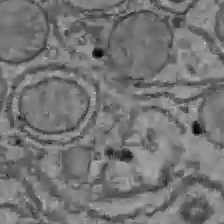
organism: C57BL Mouse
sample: Liver